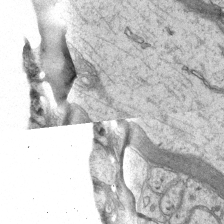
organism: Mouse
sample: CA1 Hippocampus